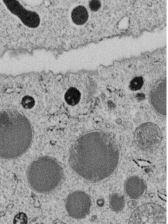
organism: C. elegans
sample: C. elegans embryo early stage